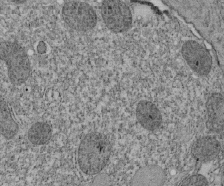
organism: Tetrahymena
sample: Cilia in tetrahymena